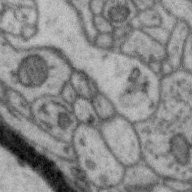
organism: Zebra finch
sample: Brain